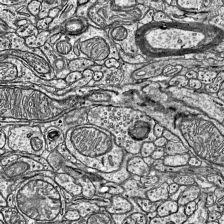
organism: Mouse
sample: Visual Cortex